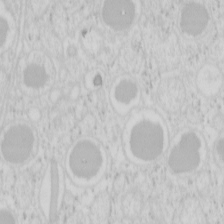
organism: Mouse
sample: Pancreas